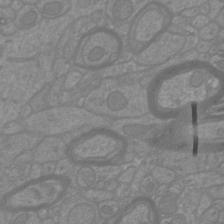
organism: Mouse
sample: Cortical neurons